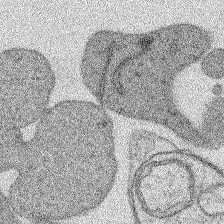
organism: Human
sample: HeLa cells